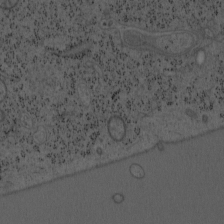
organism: Mouse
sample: OT-I killer T cells with ID8 ovarian cancer cells